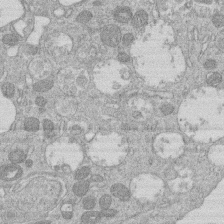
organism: Human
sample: Macrophage cells